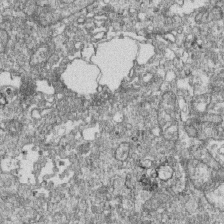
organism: Human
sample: HeLa cell HIV synapse